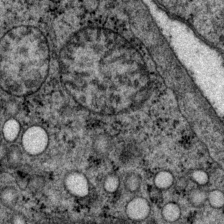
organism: P. pacificus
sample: Pharynx